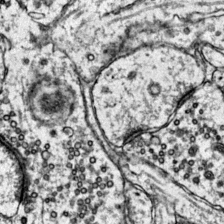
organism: Mouse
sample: Primary visual cortex